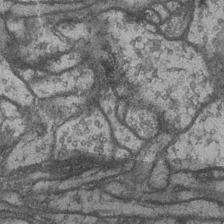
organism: Drosophila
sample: Optic medulla